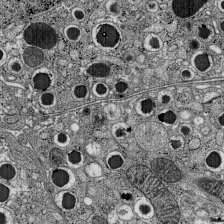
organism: C57BL Mouse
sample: Pancreatic islet